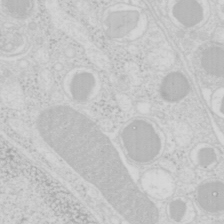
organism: Mouse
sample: Pancreas